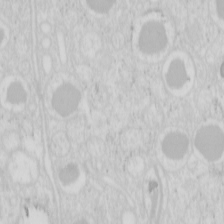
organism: Mouse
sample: Pancreas